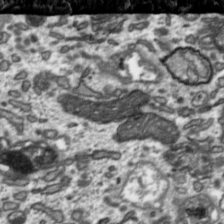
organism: Toxoplasma gondii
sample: Parasites in a vacuole inside a host cell